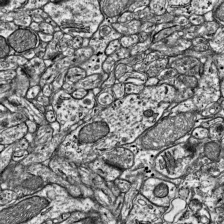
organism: Mouse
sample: Visual Cortex